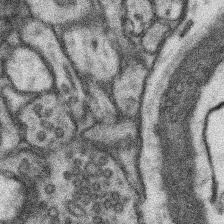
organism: Mouse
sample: Somatosensory cortex neuropil